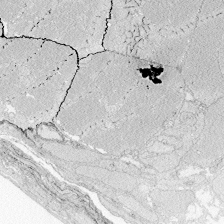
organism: Zebrafish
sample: Whole-Brain